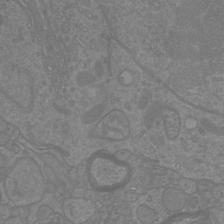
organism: Mouse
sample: Cortical neurons